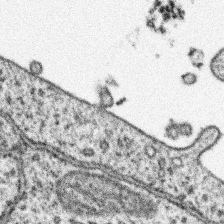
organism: Human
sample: HeLa cells